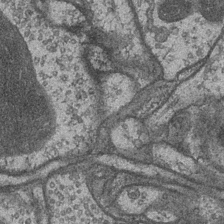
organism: Drosophila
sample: Optic medulla